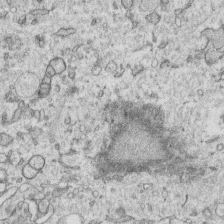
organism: Human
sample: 1205lu cells